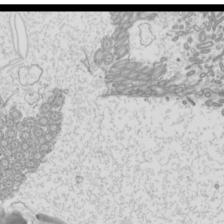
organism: Mouse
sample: Cilia; mouse epididymis